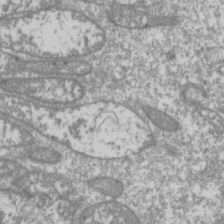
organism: Drosophila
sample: Cell division; meiosis; drosophila spermatocytes